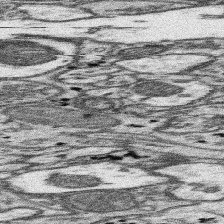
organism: Mouse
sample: Somatosensory cortex neuropil